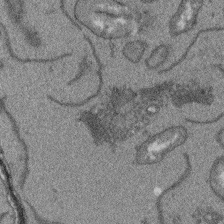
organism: Arabidopsis thaliana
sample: Root tip